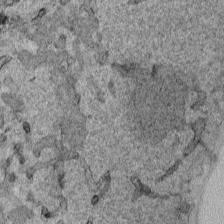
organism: Human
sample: Mitochondria in HCT116 cells